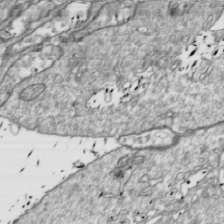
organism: Drosophila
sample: Cell division; meiosis; drosophila spermatocytes